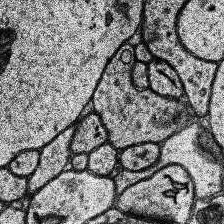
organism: Human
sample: Temporal Lobe